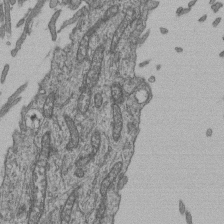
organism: Human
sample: Retinal organoid Rod and Cone cells